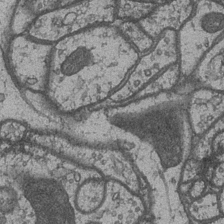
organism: Drosophila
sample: Optic medulla